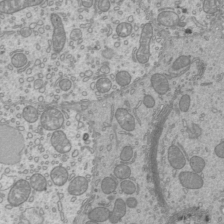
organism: Mouse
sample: Cilia; mouse epididymis